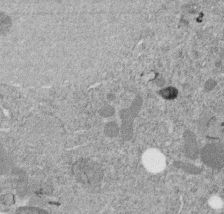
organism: C. elegans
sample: C. elegans embryo early stage